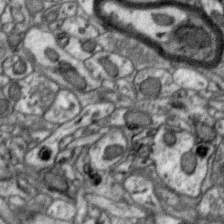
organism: Zebra finch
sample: Brain